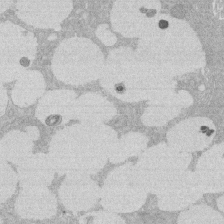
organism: Rat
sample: Salivary granule